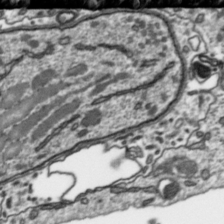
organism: Toxoplasma gondii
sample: Parasites in a vacuole inside a host cell